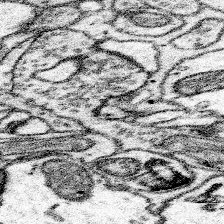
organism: Mouse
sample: Somatosensory cortex neuropil